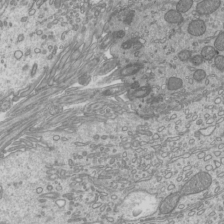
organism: Mouse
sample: Cilia; mouse epididymis